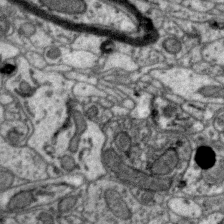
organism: Zebra finch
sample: Brain